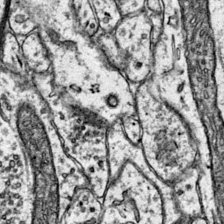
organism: Mouse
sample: Primary visual cortex